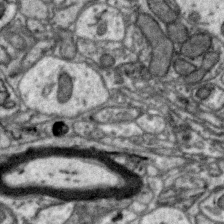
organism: Zebra finch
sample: Brain